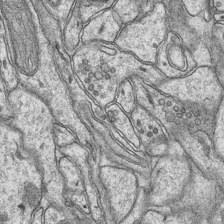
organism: Mouse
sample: CA1 Hippocampus